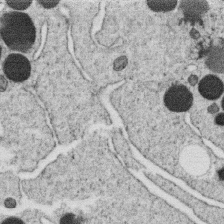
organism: C. elegans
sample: C. elegans oocyte; sperm cells